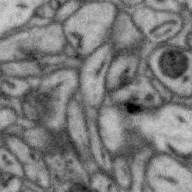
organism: Zebra finch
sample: Brain